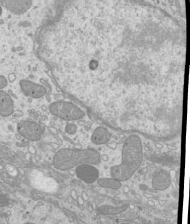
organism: Mouse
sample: Cilia; mouse epididymis